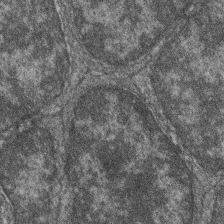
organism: Zebrafish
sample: Cilia; retinal pigment epithelium